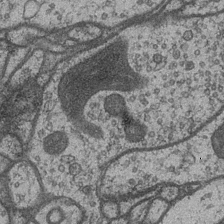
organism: Drosophila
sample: Optic medulla